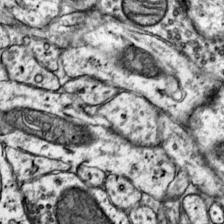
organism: Mouse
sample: Primary visual cortex